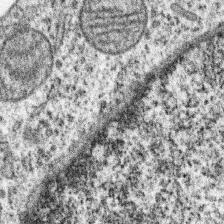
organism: Human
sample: HeLa cells